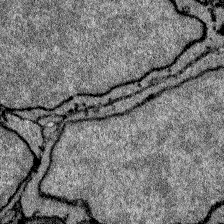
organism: Zebrafish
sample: Larval olfactory bulb